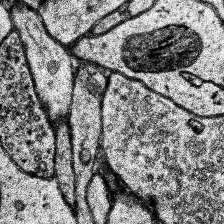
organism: Human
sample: Temporal Lobe